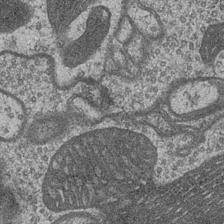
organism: Drosophila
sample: Optic medulla